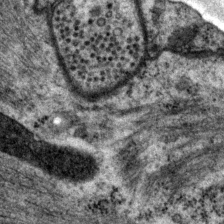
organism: P. pacificus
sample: Pharynx